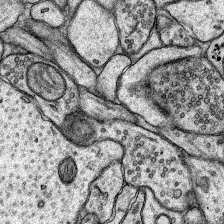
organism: Rat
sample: Hippocampus